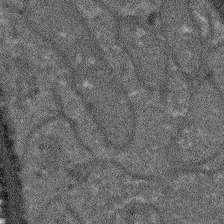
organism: Arabidopsis thaliana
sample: Root tip